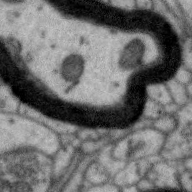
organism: Zebra finch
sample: Brain